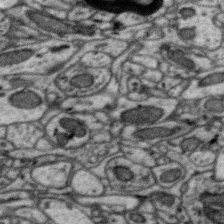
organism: Zebra finch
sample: Brain